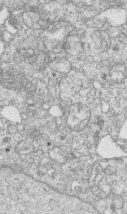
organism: Human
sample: HeLa cell HIV synapse